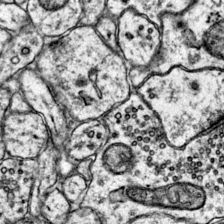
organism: Mouse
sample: Primary visual cortex